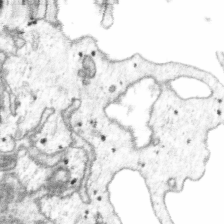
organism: Human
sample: HeLa cells